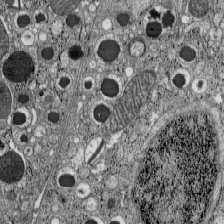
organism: C57BL Mouse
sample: Pancreatic islet